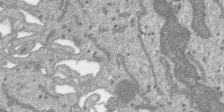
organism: Human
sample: Lung epithelial cells infected with SARS-CoV-2